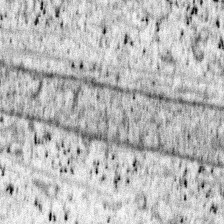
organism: Human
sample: HeLa cells